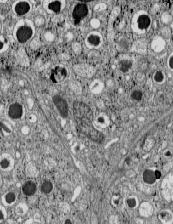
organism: C57BL Mouse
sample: Pancreatic islet